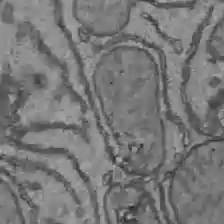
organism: C57BL Mouse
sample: Liver